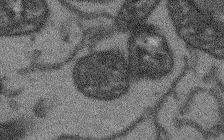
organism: Arabidopsis thaliana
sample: Root tip